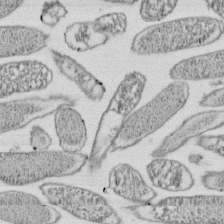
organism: E. coli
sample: Bacterial nucleoid